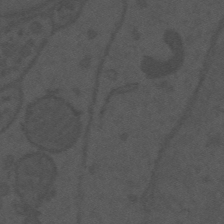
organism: Mouse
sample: Suprachiasmatic nucleus